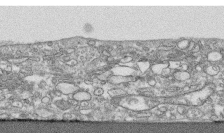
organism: Human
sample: CRL-1474